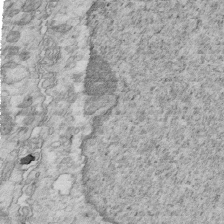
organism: Mouse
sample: Multiciliated cells